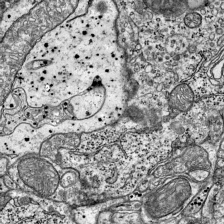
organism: Mouse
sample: Visual Cortex